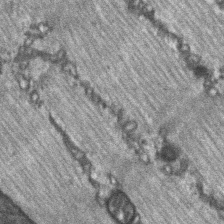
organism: C57BL Mouse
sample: Soleus